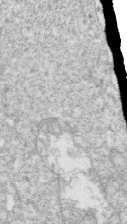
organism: Human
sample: HeLa cell HIV synapse